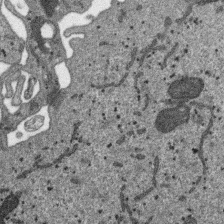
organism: Human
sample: Lung epithelial cells infected with SARS-CoV-2